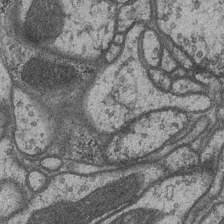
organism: Drosophila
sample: Optic medulla